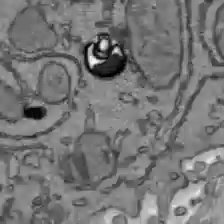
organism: C57BL Mouse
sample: Liver